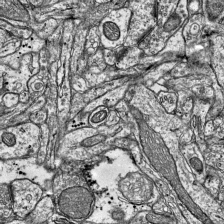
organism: Mouse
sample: Visual Cortex